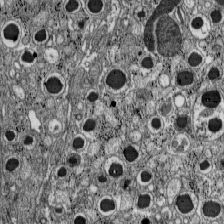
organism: C57BL Mouse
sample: Pancreatic islet